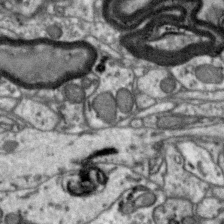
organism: Zebra finch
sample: Brain